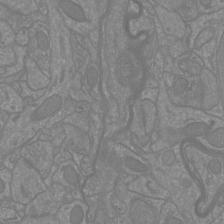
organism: Mouse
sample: Cortical neurons